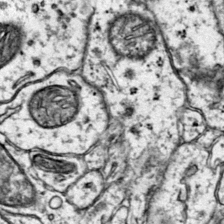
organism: Mouse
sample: Primary visual cortex